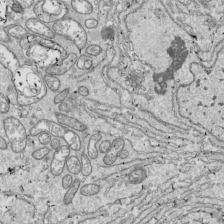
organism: Drosophila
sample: Cell division; meiosis; drosophila spermatocytes